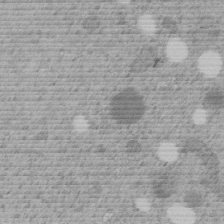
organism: C. elegans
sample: C. elegans embryo early stage